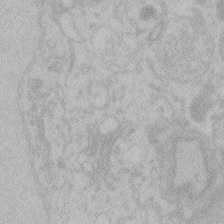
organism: Zebrafish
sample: Macrophage infected with Toxoplasma gondii